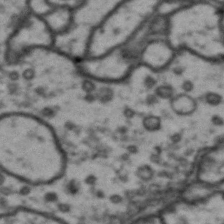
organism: Drosophila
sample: Brain